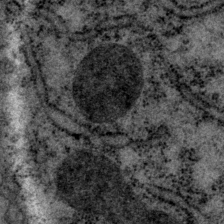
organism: P. pacificus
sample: Pharynx